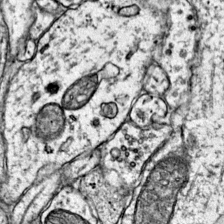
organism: Mouse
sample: Primary visual cortex